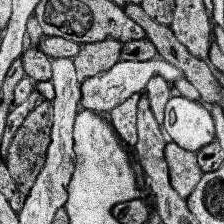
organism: Human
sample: Temporal Lobe